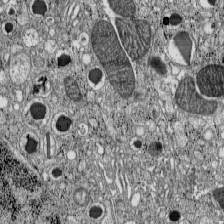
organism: C57BL Mouse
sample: Pancreatic islet